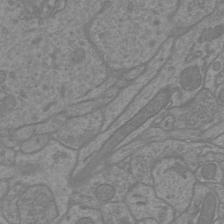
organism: Mouse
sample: Cortical neurons